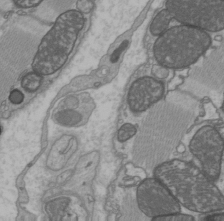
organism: C57BL Mouse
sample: Heart